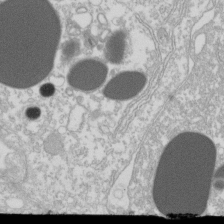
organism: Xenopus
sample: Cilia; centrioles in frog embryo cells